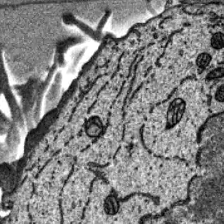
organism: Human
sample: HeLa cells